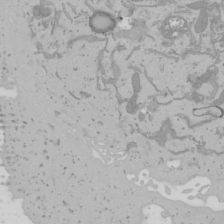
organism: Mouse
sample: Cancer cell death in ED-1 cells